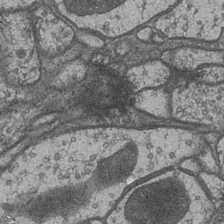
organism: Drosophila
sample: Optic medulla